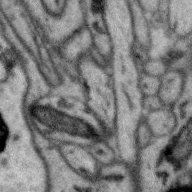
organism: Zebra finch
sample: Brain